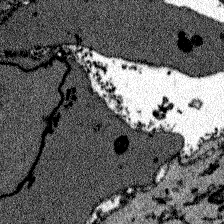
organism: Zebrafish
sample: Larval olfactory bulb